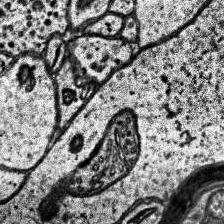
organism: Human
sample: Temporal Lobe